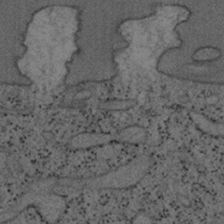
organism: Human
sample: HeLa cells